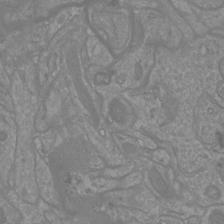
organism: Mouse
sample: Cortical neurons